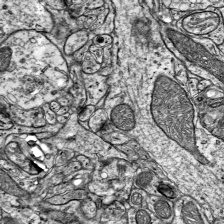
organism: Mouse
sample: Visual Cortex